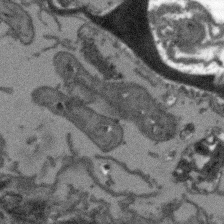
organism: Arabidopsis thaliana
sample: Root tip